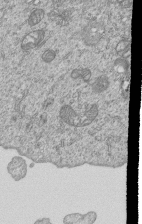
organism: Human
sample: MDA-MB-231 cells